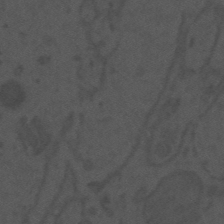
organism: Mouse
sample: Suprachiasmatic nucleus